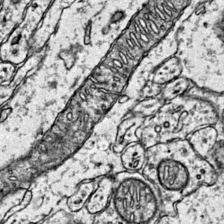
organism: Mouse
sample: Primary visual cortex